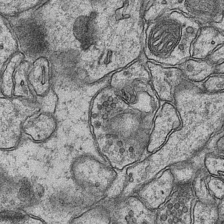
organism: Mouse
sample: CA1 Hippocampus